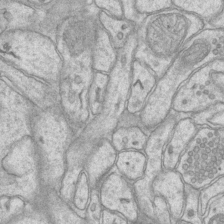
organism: Mouse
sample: CA1 Hippocampus